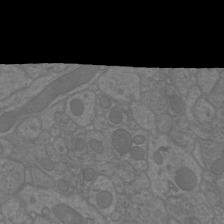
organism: Mouse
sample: Cortical neurons